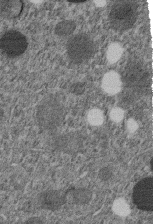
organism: C. elegans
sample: C. elegans embryo early stage